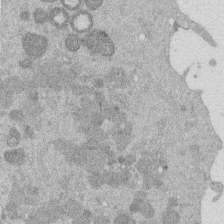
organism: Mouse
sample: Dividing mouse embryo 1 cell stage